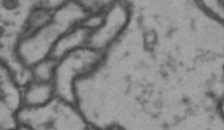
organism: Drosophila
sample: Brain